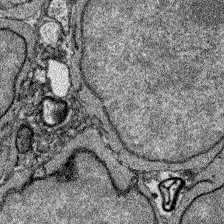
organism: Zebrafish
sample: Larval olfactory bulb